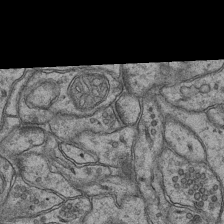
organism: Mouse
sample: CA1 Hippocampus